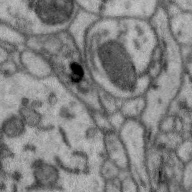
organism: Zebra finch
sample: Brain